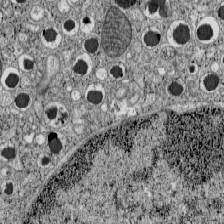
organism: C57BL Mouse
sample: Pancreatic islet